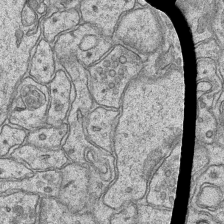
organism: Mouse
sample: CA1 Hippocampus